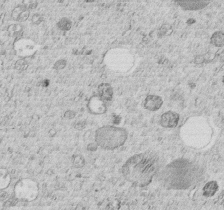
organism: C. elegans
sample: C. elegans embryo early stage